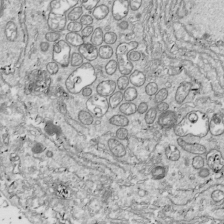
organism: Drosophila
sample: Cell division; meiosis; drosophila spermatocytes